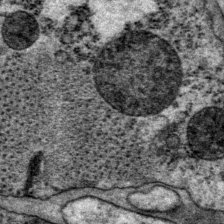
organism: P. pacificus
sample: Pharynx